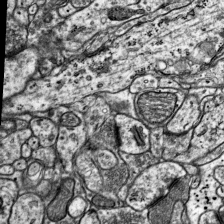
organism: Mouse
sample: Visual Cortex